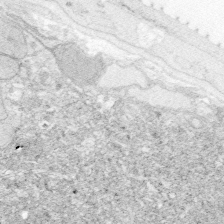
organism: Zebrafish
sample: Whole-Brain